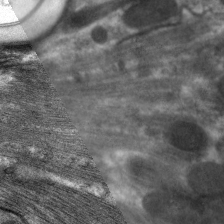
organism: C. elegans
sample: Pharynx